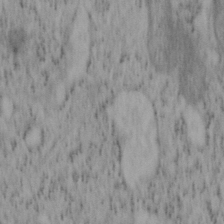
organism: Mouse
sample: OT-I killer T cells with ID8 ovarian cancer cells